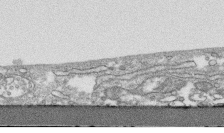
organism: Human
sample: CRL-1474